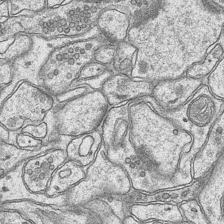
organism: Mouse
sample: CA1 Hippocampus